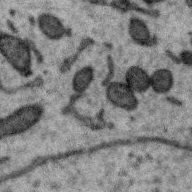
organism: Zebra finch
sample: Brain